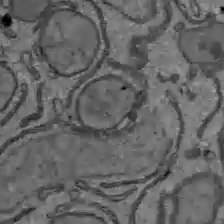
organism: C57BL Mouse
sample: Liver